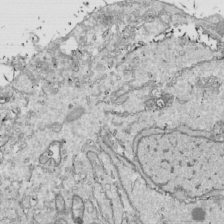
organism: Drosophila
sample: Cell division; meiosis; drosophila spermatocytes